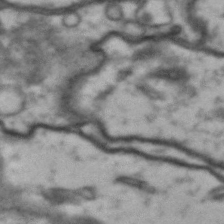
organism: Drosophila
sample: Brain